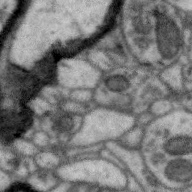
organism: Zebra finch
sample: Brain